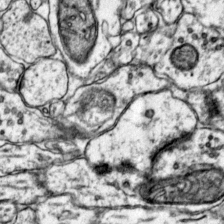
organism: Mouse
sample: Primary visual cortex